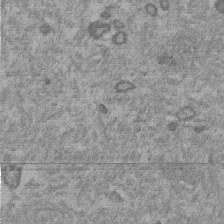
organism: Mouse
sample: Dividing mouse embryo 1 cell stage